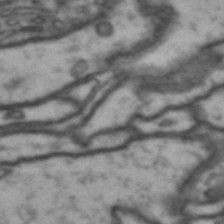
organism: Drosophila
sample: Brain